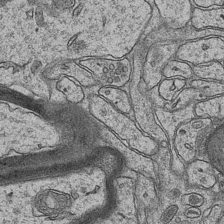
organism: Mouse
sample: CA1 Hippocampus